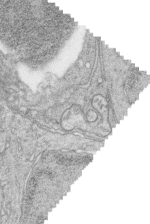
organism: Zebrafish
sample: synaptic ribbons in rod cells and cone cells